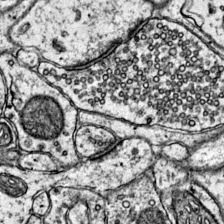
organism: Mouse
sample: Primary visual cortex